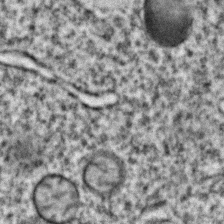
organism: C. elegans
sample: C. elegans embryo